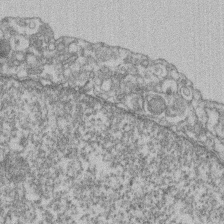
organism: Mouse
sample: T cell stromal cell synapse